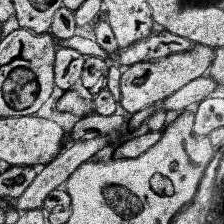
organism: Human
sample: Temporal Lobe